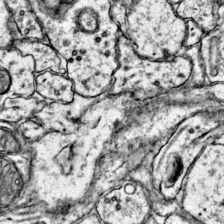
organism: Mouse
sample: Primary visual cortex